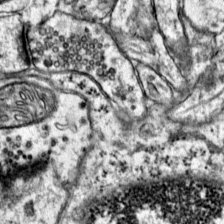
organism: Mouse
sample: Primary visual cortex